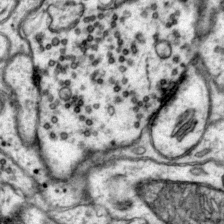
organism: Mouse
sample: Primary visual cortex